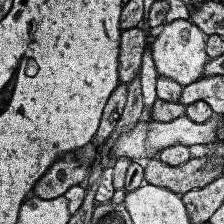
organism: Human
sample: Temporal Lobe